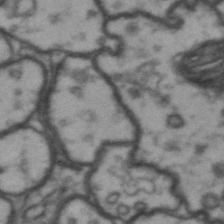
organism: Drosophila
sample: Brain